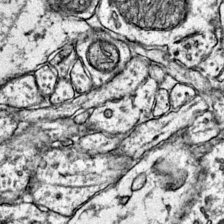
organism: Mouse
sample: Primary visual cortex